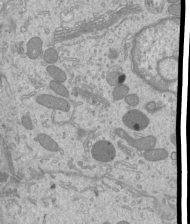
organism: Mouse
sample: Cilia; mouse epididymis